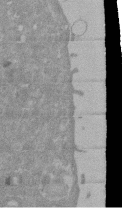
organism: Mouse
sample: ED-1 cell nuclei; centrioles